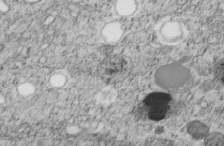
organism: C. elegans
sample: C. elegans embryo early stage